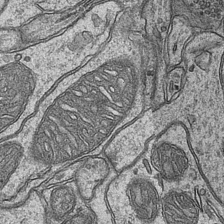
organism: Mouse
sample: CA1 Hippocampus